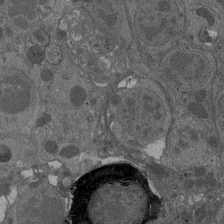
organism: Drosophila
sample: Antenna